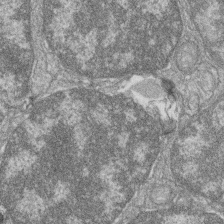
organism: Zebrafish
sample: Cilia; retinal pigment epithelium